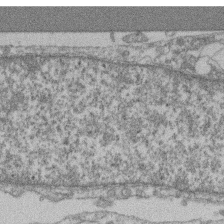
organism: Mouse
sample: T cell stromal cell synapse